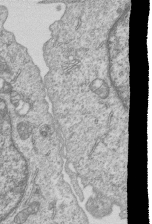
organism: Human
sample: MDA-MB-231 cells